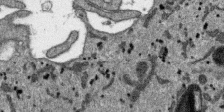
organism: Human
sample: Lung epithelial cells, uninfected (mock) control